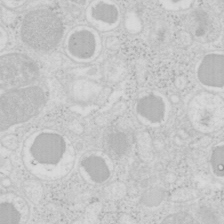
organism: Mouse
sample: Pancreas